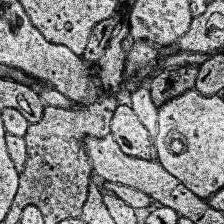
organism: Human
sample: Temporal Lobe